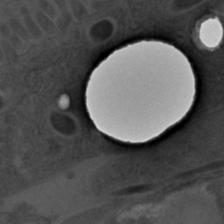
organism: C. elegans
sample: C. elegans embryo